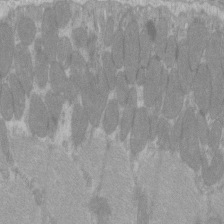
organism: C57BL Mouse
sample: Tibialis anterior muscle cell